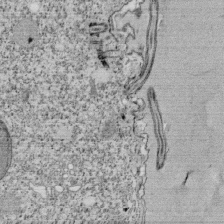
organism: Tetrahymena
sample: Cilia in tetrahymena